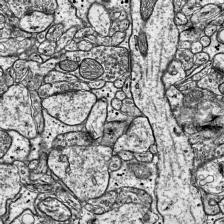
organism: Mouse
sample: Visual Cortex